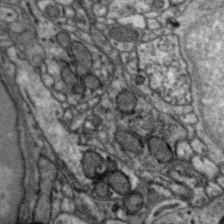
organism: Zebra finch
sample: Brain